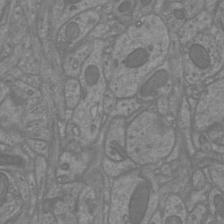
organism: Mouse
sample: Cortical neurons